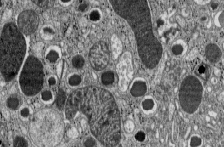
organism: C57BL Mouse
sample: Pancreatic islet